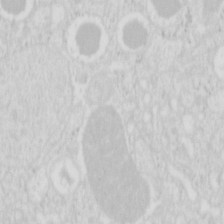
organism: Mouse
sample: Pancreas